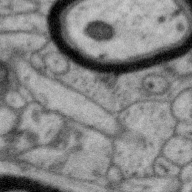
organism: Zebra finch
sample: Brain